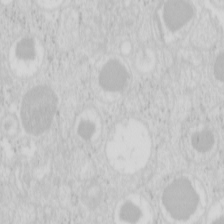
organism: Mouse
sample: Pancreas